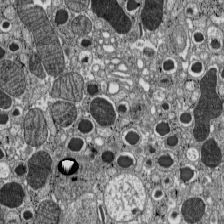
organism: C57BL Mouse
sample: Pancreatic islet